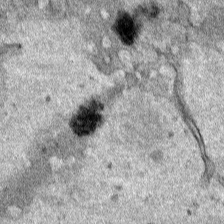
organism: Human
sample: Mitochondria in HCT116 cells